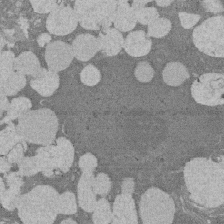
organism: Rat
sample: Salivary granule